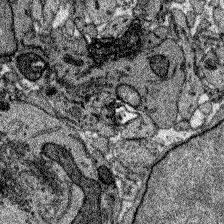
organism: Zebrafish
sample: Larval olfactory bulb